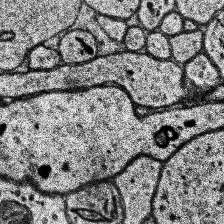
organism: Human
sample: Temporal Lobe